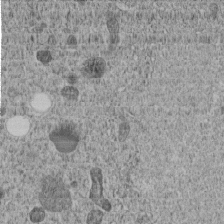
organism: C. elegans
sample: C. elegans embryo early stage